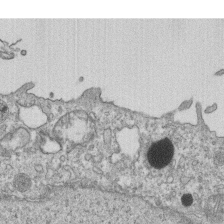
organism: Human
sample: HeLa cell HIV synapse